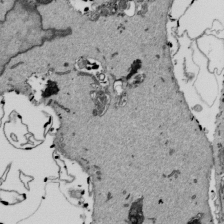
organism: Mouse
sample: ED-1 cell nuclei; centrioles